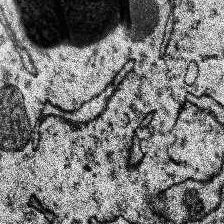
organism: Human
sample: Temporal Lobe